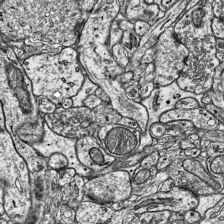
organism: Mouse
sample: Visual Cortex